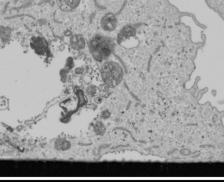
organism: Human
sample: Mitochondria in U2OS cells